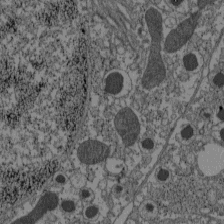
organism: C57BL Mouse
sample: Pancreatic islet